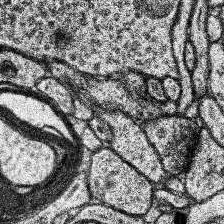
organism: Human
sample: Temporal Lobe